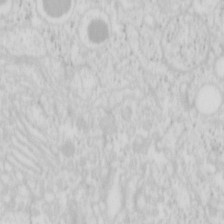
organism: Mouse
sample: Pancreas